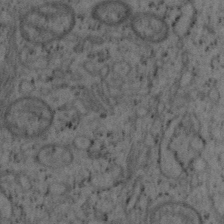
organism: Human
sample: HeLa cells